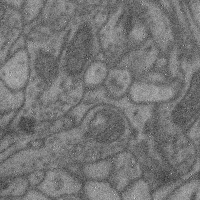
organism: Mouse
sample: Cerebral cortex